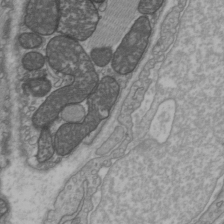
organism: C57BL Mouse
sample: Heart